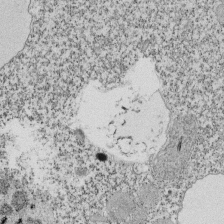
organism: Tetrahymena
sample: Cilia in tetrahymena